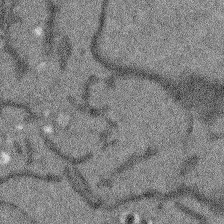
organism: Arabidopsis thaliana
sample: Root tip